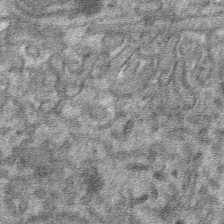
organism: Mouse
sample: Mouse hepatocytes